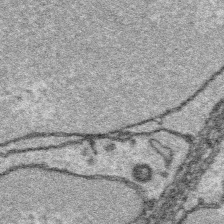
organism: Platynereis dumerilii